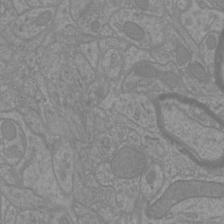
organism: Mouse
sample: Cortical neurons